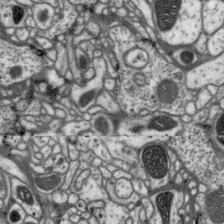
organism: Drosophila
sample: Protocerebral bridge